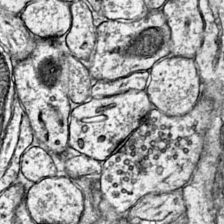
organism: Mouse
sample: Primary visual cortex